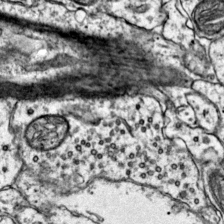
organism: Mouse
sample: Primary visual cortex